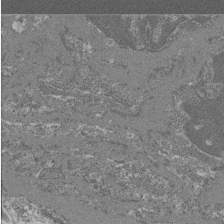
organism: Mouse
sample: Glomerulus